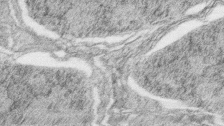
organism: Zebrafish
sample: synaptic ribbons in rod cells and cone cells